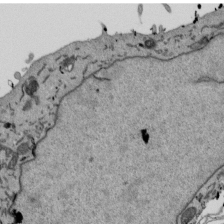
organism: Mouse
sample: ED-1 cell nuclei; centrioles